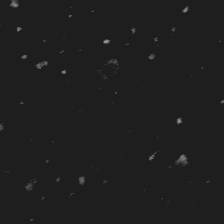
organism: Platynereis dumerilii